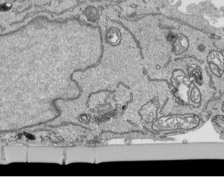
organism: Human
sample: Mitochondria in HCT116 cells